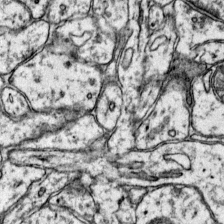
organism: Mouse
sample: Primary visual cortex